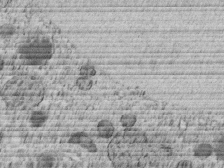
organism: C. elegans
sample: C. elegans embryo early stage